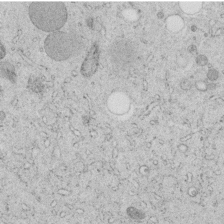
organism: C. elegans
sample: C. elegans embryo early stage